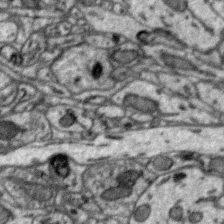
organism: Zebra finch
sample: Brain